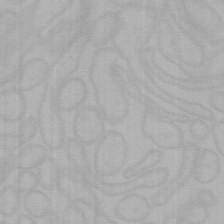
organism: Mouse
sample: Choroid plexus